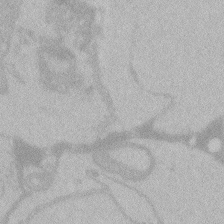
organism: Zebrafish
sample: Macrophage infected with Toxoplasma gondii